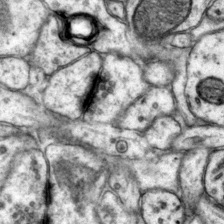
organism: Mouse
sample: Primary visual cortex